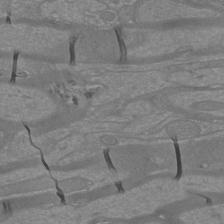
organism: Mouse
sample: Cortical neurons